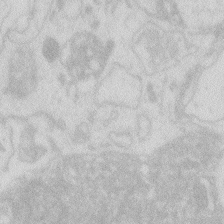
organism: Zebrafish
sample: Macrophage